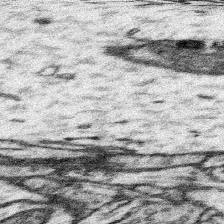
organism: Mouse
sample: Somatosensory cortex neuropil